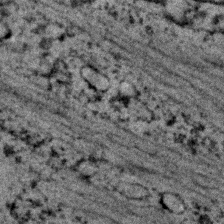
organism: C. elegans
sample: C. elegans embryo